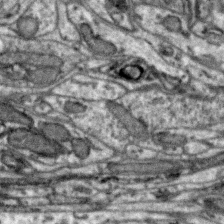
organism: Zebra finch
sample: Brain